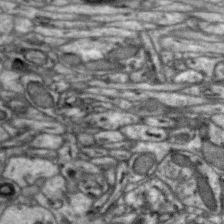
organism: Zebra finch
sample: Brain